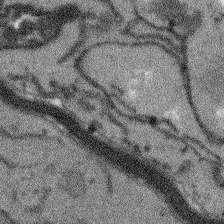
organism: Arabidopsis thaliana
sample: Root tip